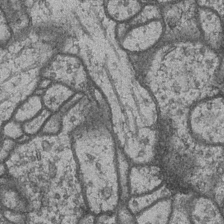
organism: Drosophila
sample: Optic medulla